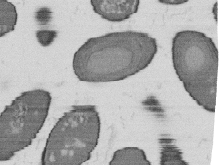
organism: B. subtilis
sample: Bacterial spore